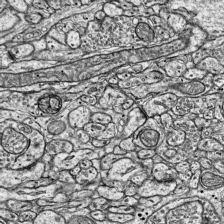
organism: Mouse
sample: Visual Cortex